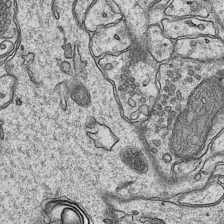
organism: Mouse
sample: CA1 Hippocampus